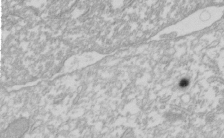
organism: Xenopus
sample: Cilia; centrioles in frog embryo cells